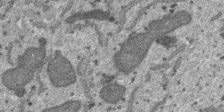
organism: Human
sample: Lung epithelial cells infected with SARS-CoV-2